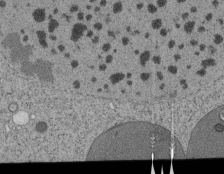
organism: Tetrahymena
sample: Cilia in tetrahymena